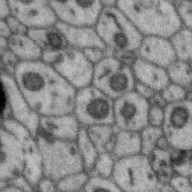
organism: Zebra finch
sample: Brain